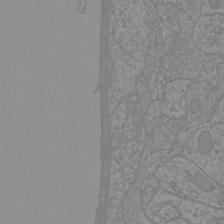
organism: Mouse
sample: Cortical neurons